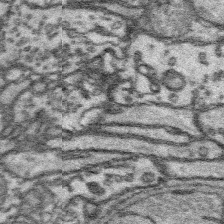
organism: Platynereis dumerilii